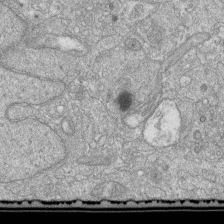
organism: Human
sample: HeLa cell HIV synapse